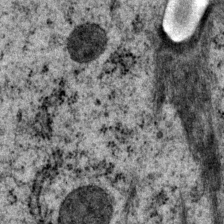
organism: P. pacificus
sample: Pharynx